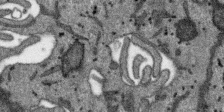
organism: Human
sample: Lung epithelial cells, uninfected (mock) control